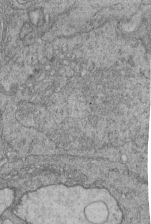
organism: Human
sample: Retinal organoid Rod and Cone cells